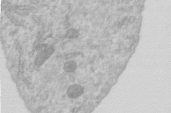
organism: Human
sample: Centriole in RPE cells